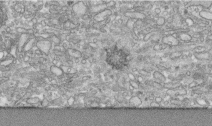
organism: Human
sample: Centriole in RPE cells